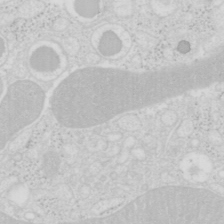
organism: Mouse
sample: Pancreas